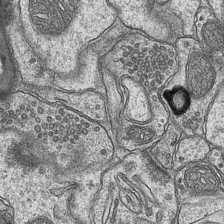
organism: Mouse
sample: CA1 Hippocampus